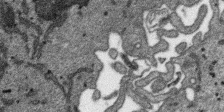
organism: Human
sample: Lung epithelial cells infected with SARS-CoV-2